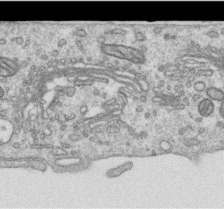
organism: Human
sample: Centriole in RPE cells